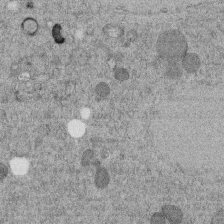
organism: C. elegans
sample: C. elegans embryo early stage